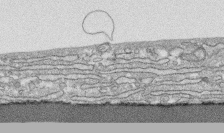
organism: Human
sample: CRL-1474